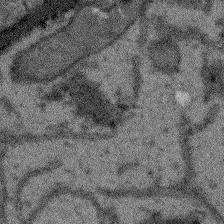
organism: Arabidopsis thaliana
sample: Root tip